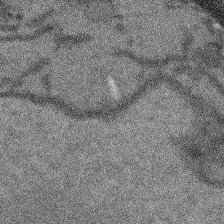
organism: Arabidopsis thaliana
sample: Root tip